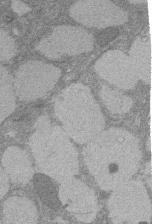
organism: Rat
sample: Salivary granule